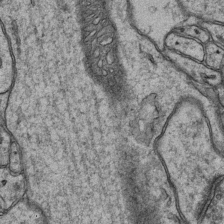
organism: Mouse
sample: CA1 Hippocampus